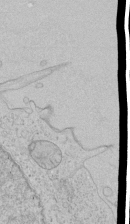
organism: Human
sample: Mitochondria in HCT116 cells